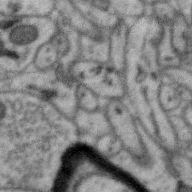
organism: Zebra finch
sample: Brain